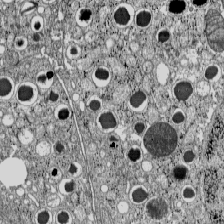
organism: C57BL Mouse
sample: Pancreatic islet